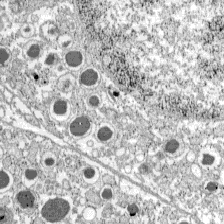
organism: C57BL Mouse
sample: Pancreatic islet